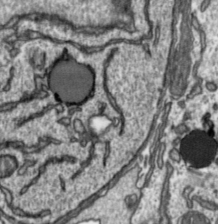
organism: Toxoplasma gondii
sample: Parasites in a vacuole inside a host cell